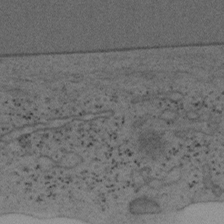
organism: Human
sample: HeLa cells